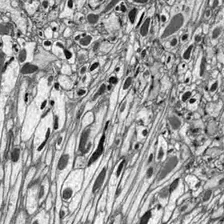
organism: Drosophila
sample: Optic lobe